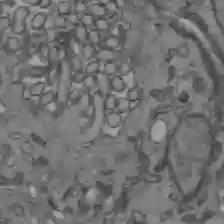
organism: C57BL Mouse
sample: Liver